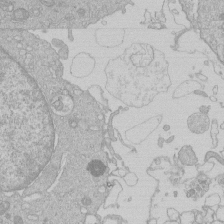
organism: Human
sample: Macrophage cells